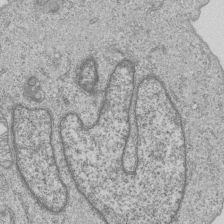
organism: Human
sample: MDA-MB-231 cells